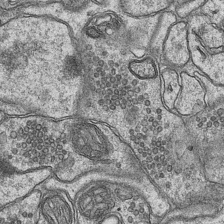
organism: Mouse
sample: CA1 Hippocampus